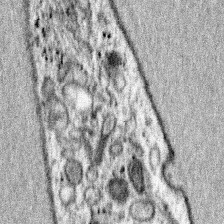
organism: Human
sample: HeLa cells